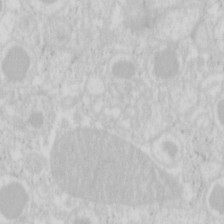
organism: Mouse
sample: Pancreas